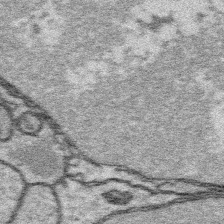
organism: Platynereis dumerilii